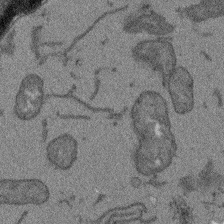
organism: Arabidopsis thaliana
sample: Root tip